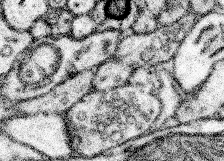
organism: Mouse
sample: Somatosensory cortex neuropil